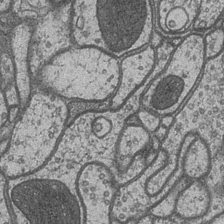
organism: Drosophila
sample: Optic medulla